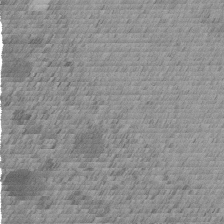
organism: C. elegans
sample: C. elegans embryo early stage